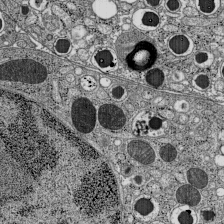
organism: C57BL Mouse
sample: Pancreatic islet